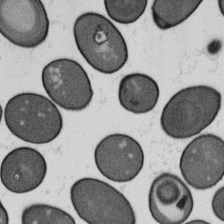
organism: B. subtilis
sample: Bacterial spore